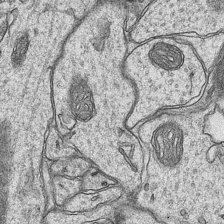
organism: Mouse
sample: CA1 Hippocampus